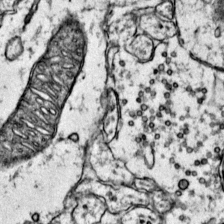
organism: Mouse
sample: Primary visual cortex